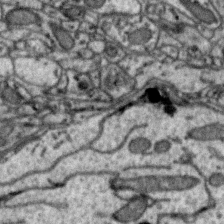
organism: Zebra finch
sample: Brain